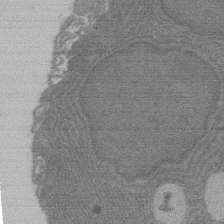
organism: Rat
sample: Salivary granule